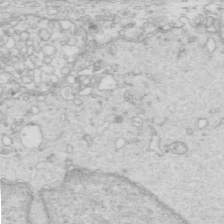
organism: Mouse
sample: Multiciliated cells